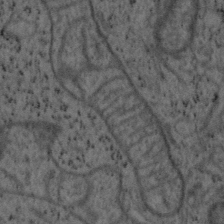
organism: Human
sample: HeLa cells